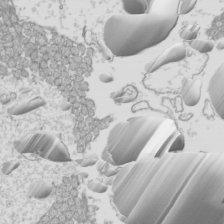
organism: Mouse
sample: Cilia; mouse epididymis